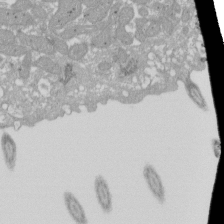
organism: Xenopus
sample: Cilia; centrioles in frog embryo cells